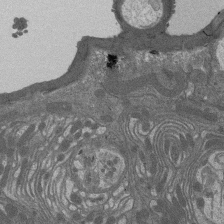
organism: Drosophila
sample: Antenna